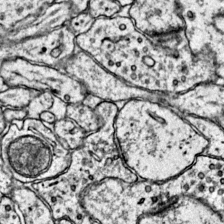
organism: Mouse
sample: Primary visual cortex